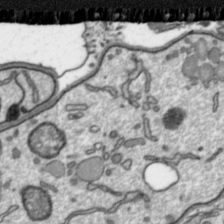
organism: Toxoplasma gondii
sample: Parasites in a vacuole inside a host cell